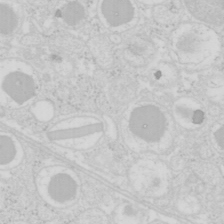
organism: Mouse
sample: Pancreas